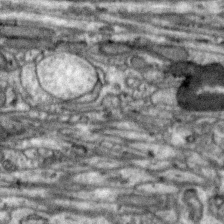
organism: Zebra finch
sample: Brain